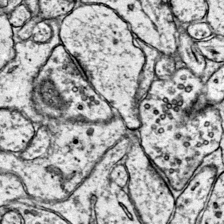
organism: Mouse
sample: Primary visual cortex